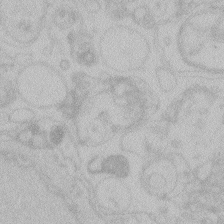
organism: Zebrafish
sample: Macrophage infected with Toxoplasma gondii